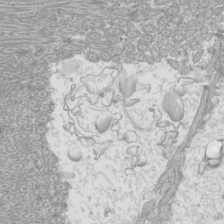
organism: Mouse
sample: Cilia; mouse epididymis